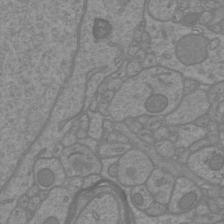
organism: Mouse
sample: Cortical neurons